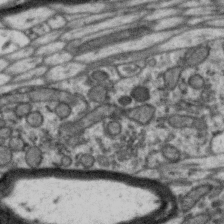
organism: Zebra finch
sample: Brain